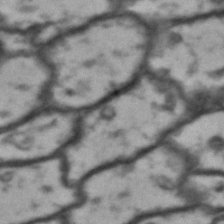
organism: Drosophila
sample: Brain